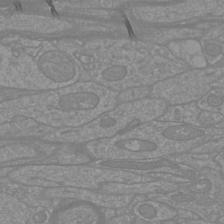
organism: Mouse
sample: Cortical neurons